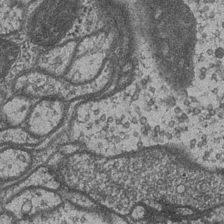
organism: Drosophila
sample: Optic medulla